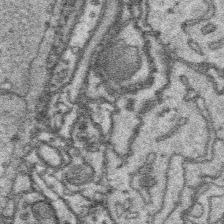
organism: Platynereis dumerilii